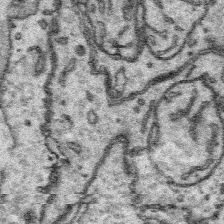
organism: Platynereis dumerilii